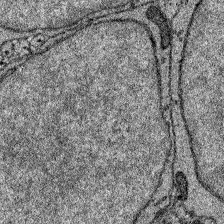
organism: Zebrafish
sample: Larval olfactory bulb